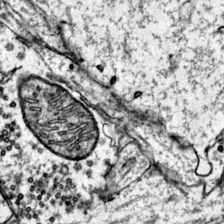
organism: Mouse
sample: Primary visual cortex